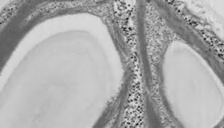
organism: Chlamydomonas reinhardtii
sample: Whole Cell